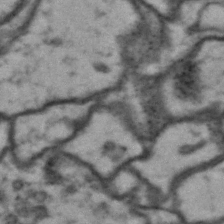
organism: Drosophila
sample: Brain